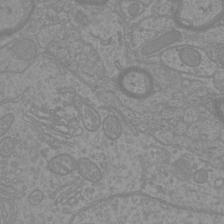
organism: Mouse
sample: Cortical neurons